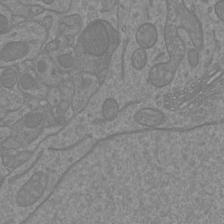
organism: Mouse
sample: Cortical neurons